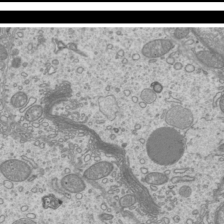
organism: Mouse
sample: Cilia; mouse epididymis